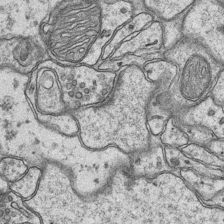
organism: Mouse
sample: CA1 Hippocampus